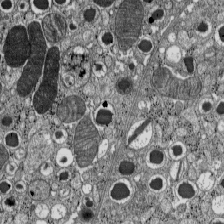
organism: C57BL Mouse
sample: Pancreatic islet